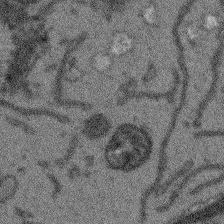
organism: Arabidopsis thaliana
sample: Root tip